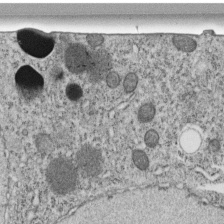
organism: C. elegans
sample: C. elegans embryo early stage